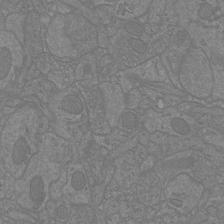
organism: Mouse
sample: Cortical neurons